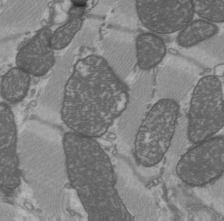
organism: C57BL Mouse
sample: Heart